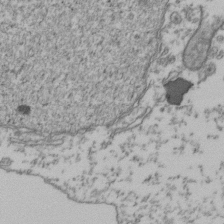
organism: Human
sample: Activated Jurkat CD4+ T cells